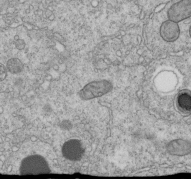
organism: C. elegans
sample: C. elegans embryo early stage